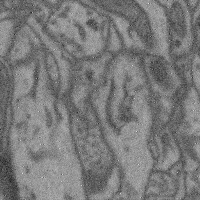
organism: Mouse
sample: Cerebral cortex